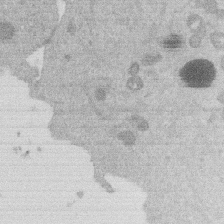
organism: Mouse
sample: Dividing mouse embryo 1 cell stage